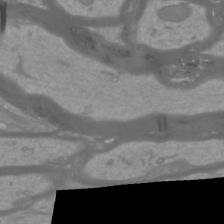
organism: Mouse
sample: Cortical neurons